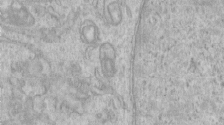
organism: Human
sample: Centriole in RPE cells